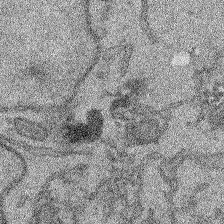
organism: Human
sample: HeLa cells